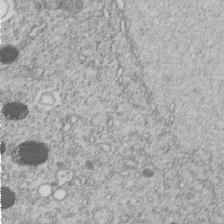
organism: C. elegans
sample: C. elegans embryo early stage